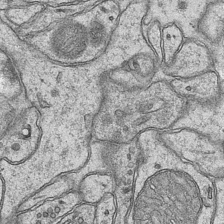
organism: Mouse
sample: CA1 Hippocampus